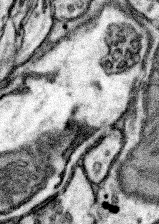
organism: Mouse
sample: Somatosensory cortex neuropil